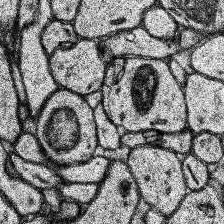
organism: Human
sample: Temporal Lobe